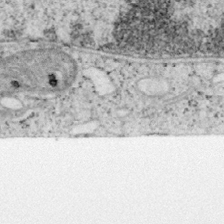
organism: Mouse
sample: OT-I killer T cells with ID8 ovarian cancer cells